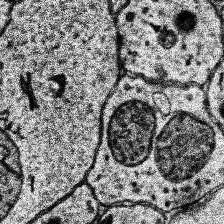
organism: Human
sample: Temporal Lobe